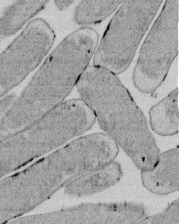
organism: E. coli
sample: Bacterial nucleoid